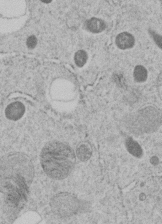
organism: C. elegans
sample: C. elegans embryo early stage